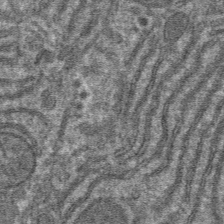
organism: Mouse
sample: Mouse hepatocytes